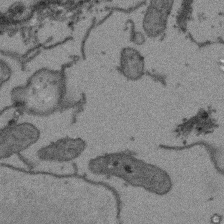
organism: Arabidopsis thaliana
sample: Root tip